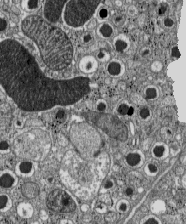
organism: C57BL Mouse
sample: Pancreatic islet